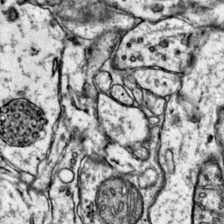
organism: Mouse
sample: Primary visual cortex